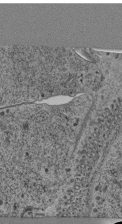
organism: C. elegans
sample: C. elegans pharynx